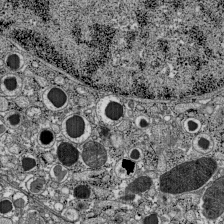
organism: C57BL Mouse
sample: Pancreatic islet